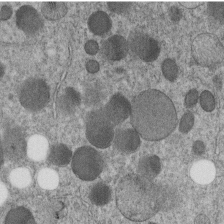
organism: C. elegans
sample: C. elegans embryo early stage